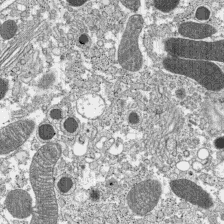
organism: C57BL Mouse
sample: Pancreatic islet